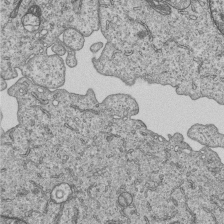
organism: Human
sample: MDA-MB-231 cells